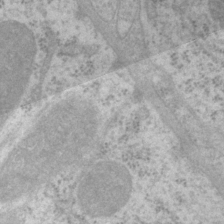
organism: P. pacificus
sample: Pharynx